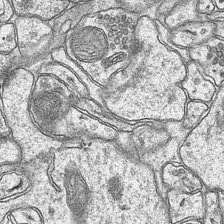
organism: Mouse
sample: CA1 Hippocampus